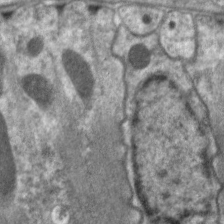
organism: C. elegans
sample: Pharynx